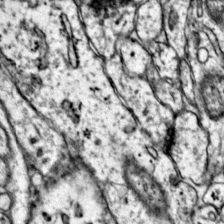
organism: Mouse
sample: Primary visual cortex